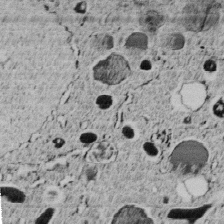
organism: C. elegans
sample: C. elegans embryo early stage